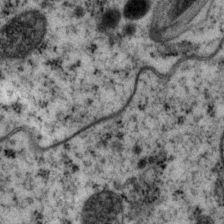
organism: P. pacificus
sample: Pharynx